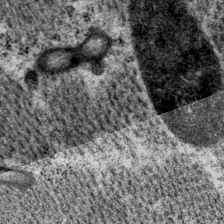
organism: P. pacificus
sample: Pharynx